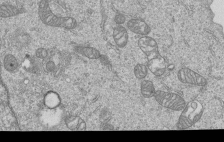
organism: Human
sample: MDA-MB-231 cells